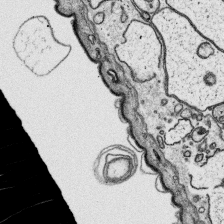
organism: Platynereis dumerilii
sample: Parapodia